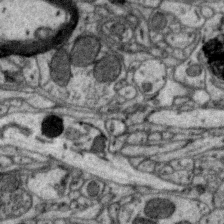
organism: Zebra finch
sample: Brain